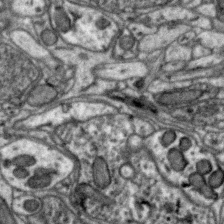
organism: Zebra finch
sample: Brain